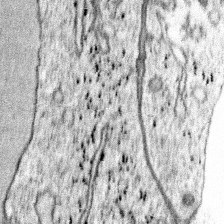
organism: Human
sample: HeLa cells